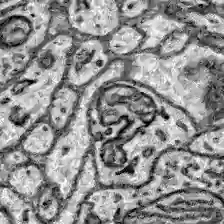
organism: Zebrafish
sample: Brain